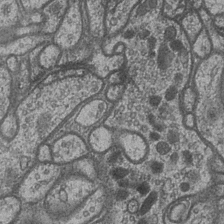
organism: Drosophila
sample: Optic medulla